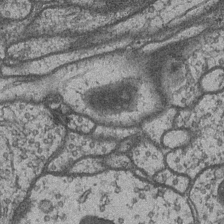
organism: Drosophila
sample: Optic medulla